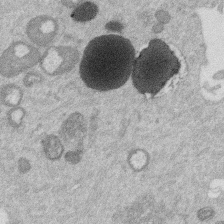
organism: Mouse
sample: Dividing mouse embryo 1 cell stage